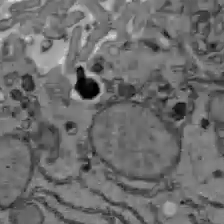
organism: C57BL Mouse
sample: Liver